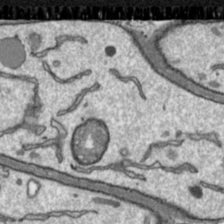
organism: Toxoplasma gondii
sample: Parasites in a vacuole inside a host cell